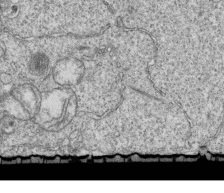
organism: Human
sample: HeLa cell HIV synapse